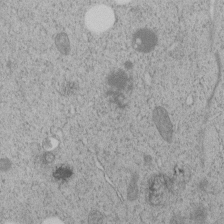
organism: C. elegans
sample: C. elegans embryo early stage